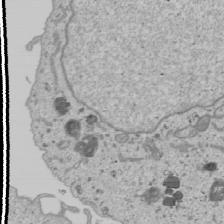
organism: Human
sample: Mitochondria in U2OS cells